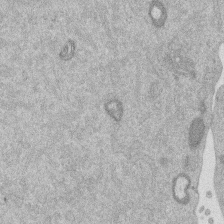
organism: Mouse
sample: Dividing mouse embryo 1 cell stage